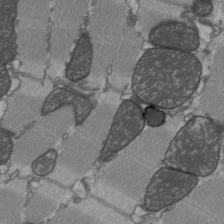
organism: C57BL Mouse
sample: Heart